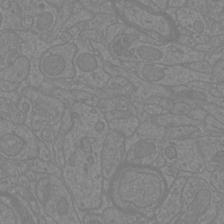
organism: Mouse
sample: Cortical neurons